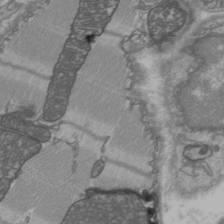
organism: C57BL Mouse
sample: Heart